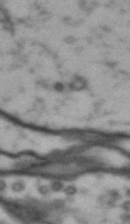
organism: Drosophila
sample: Brain